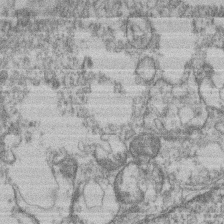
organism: Mouse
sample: T cell stromal cell synapse